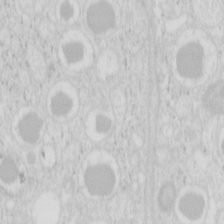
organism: Mouse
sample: Pancreas